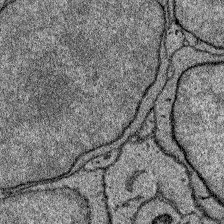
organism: Zebrafish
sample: Larval olfactory bulb